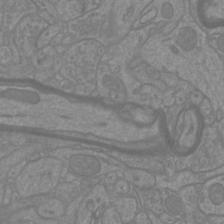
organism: Mouse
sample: Cortical neurons